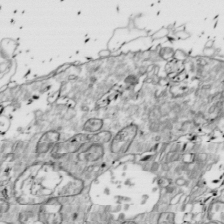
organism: Drosophila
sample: Cell division; meiosis; drosophila spermatocytes